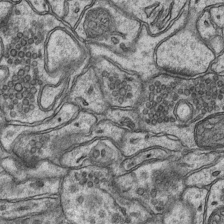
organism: Mouse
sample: CA1 Hippocampus